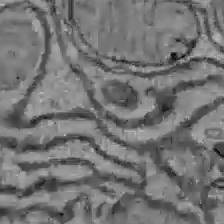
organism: C57BL Mouse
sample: Liver